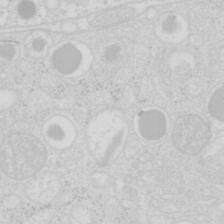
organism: Mouse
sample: Pancreas